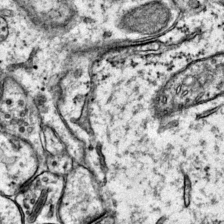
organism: Mouse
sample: Primary visual cortex